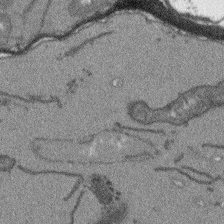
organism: Arabidopsis thaliana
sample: Root tip